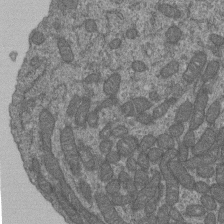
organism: Human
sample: Retinal organoid Rod and Cone cells